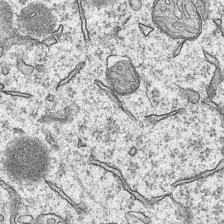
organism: Mouse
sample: CA1 Hippocampus